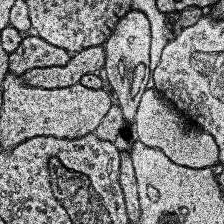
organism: Human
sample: Temporal Lobe